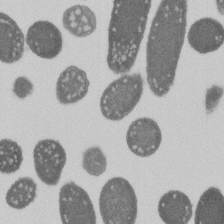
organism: E. coli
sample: Bacterial nucleoid